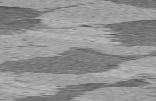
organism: C57BL Mouse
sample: Heart